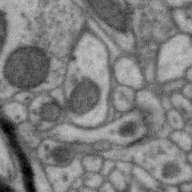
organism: Zebra finch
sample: Brain